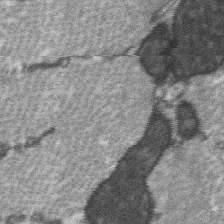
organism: C57BL Mouse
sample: Soleus